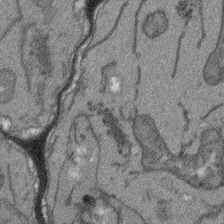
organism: Arabidopsis thaliana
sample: Root tip